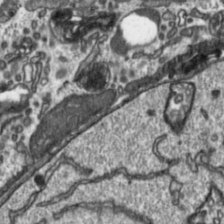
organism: Toxoplasma gondii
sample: Parasites in a vacuole inside a host cell